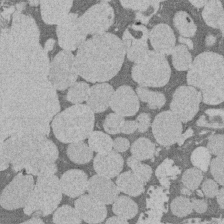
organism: Rat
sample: Salivary granule